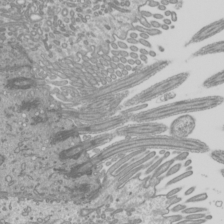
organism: Mouse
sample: Cilia; mouse epididymis